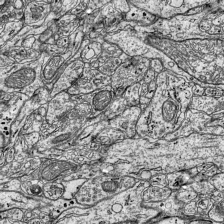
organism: Mouse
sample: Visual Cortex